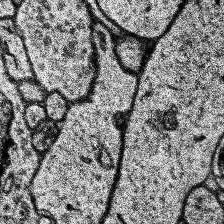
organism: Human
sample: Temporal Lobe